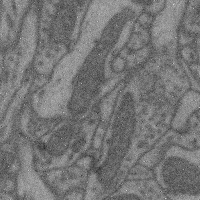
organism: Mouse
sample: Cerebral cortex